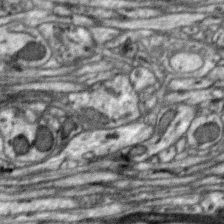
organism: Zebra finch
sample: Brain